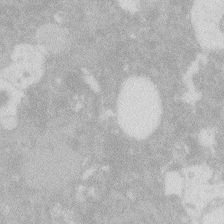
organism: Zebrafish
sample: Macrophage